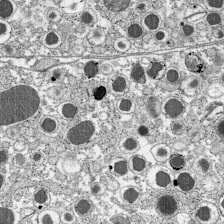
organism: C57BL Mouse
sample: Pancreatic islet